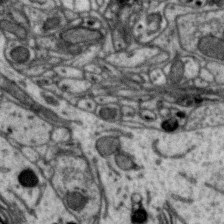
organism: Zebra finch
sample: Brain